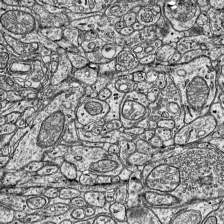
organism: Mouse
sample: Visual Cortex